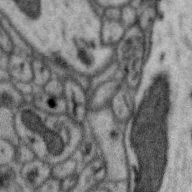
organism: Zebra finch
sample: Brain